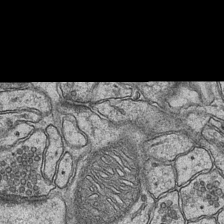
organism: Mouse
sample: CA1 Hippocampus